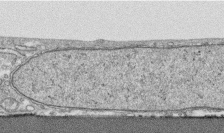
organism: Human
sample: CRL-1474